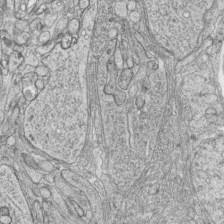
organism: Zebrafish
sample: synaptic ribbons in rod cells and cone cells